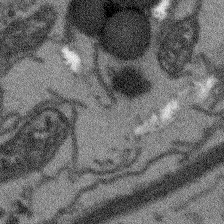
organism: Arabidopsis thaliana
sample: Root tip